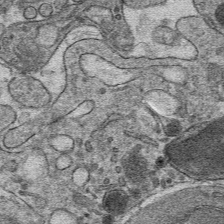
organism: Mouse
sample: Mouse hepatocytes